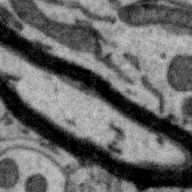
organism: Zebra finch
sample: Brain